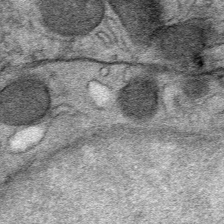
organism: Mouse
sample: Mouse Salivary gland